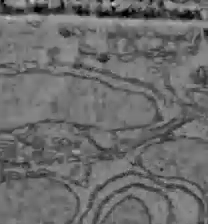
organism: C57BL Mouse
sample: Liver